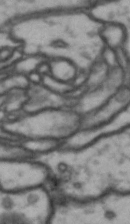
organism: Drosophila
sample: Brain